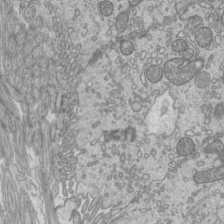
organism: Mouse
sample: Cilia; mouse epididymis